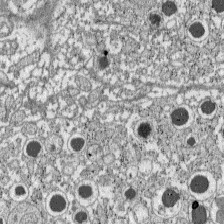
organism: C57BL Mouse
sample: Pancreatic islet